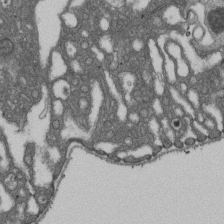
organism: Drosophila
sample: Nephrocyte